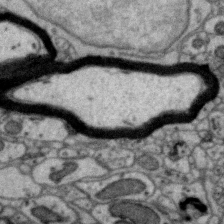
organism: Zebra finch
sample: Brain